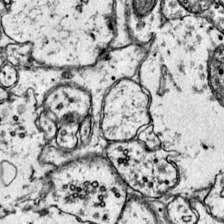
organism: Mouse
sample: Primary visual cortex